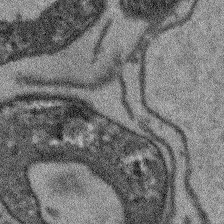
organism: Arabidopsis thaliana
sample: Root tip